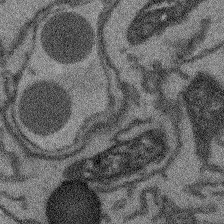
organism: Arabidopsis thaliana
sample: Root tip